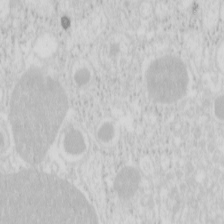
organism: Mouse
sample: Pancreas